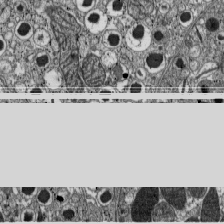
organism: C57BL Mouse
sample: Pancreatic islet